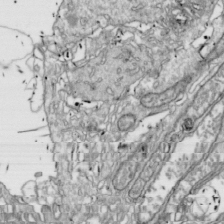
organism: Drosophila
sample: Cell division; meiosis; drosophila spermatocytes